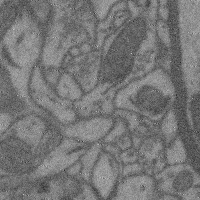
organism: Mouse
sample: Cerebral cortex